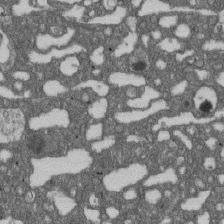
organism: Drosophila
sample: Nephrocyte